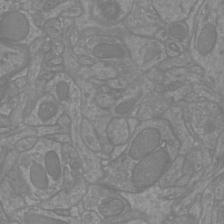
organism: Mouse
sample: Cortical neurons